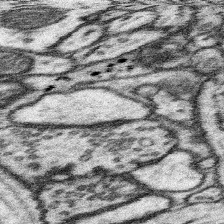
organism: Mouse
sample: Somatosensory cortex neuropil